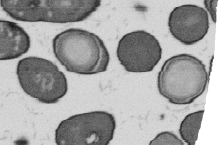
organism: B. subtilis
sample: Bacterial spore